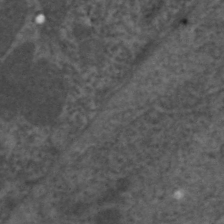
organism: C. elegans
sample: Pharynx